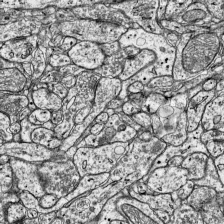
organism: Mouse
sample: Visual Cortex